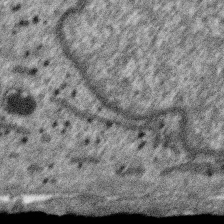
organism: Human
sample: Lung epithelial cells infected with SARS-CoV-2